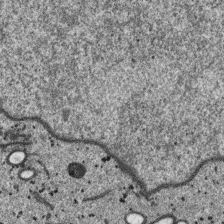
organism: Human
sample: Lung epithelial cells infected with SARS-CoV-2